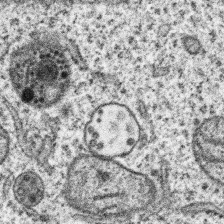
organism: Human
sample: HeLa cells